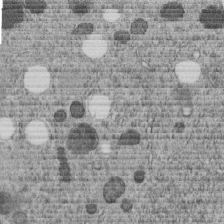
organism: C. elegans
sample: C. elegans embryo early stage